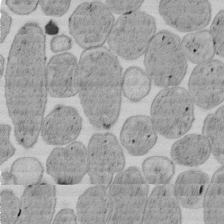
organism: E. coli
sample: Bacterial nucleoid